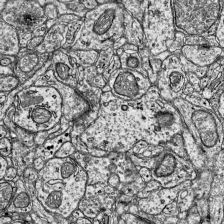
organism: Mouse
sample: Visual Cortex